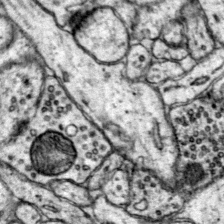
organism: Mouse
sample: Primary visual cortex